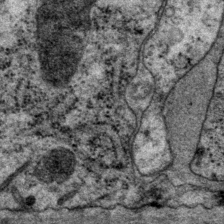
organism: P. pacificus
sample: Pharynx